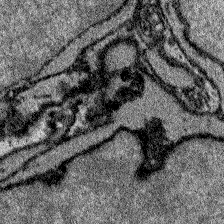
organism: Zebrafish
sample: Larval olfactory bulb